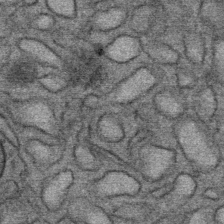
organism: Mouse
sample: Mouse Salivary gland